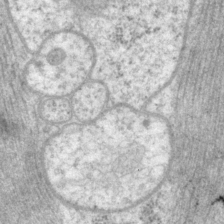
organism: P. pacificus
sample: Pharynx